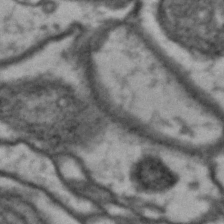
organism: Drosophila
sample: Brain